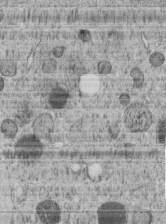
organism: C. elegans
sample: C. elegans embryo early stage